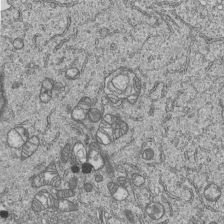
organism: Human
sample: MDA-MB-231 cells